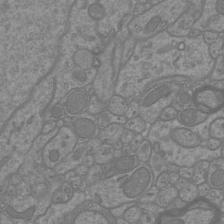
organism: Mouse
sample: Cortical neurons